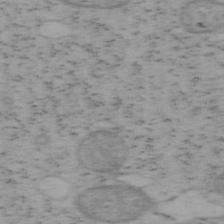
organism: Mouse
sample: OT-I killer T cells with ID8 ovarian cancer cells